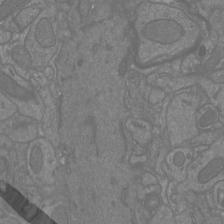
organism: Mouse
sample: Cortical neurons